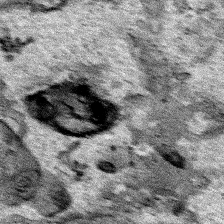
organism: Human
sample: Mitochondria in HCT116 cells